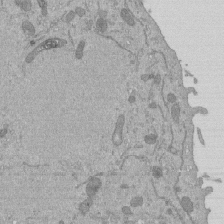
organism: Mouse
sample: ED-1 cell nuclei; centrioles